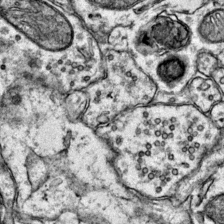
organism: Mouse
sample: Primary visual cortex